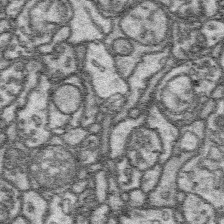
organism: Platynereis dumerilii